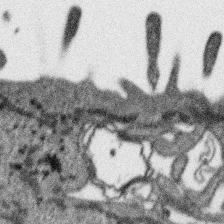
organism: Human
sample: Lung epithelial cells infected with SARS-CoV-2